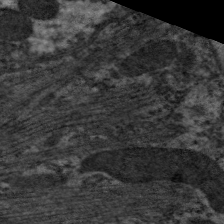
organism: C. elegans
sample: Pharynx